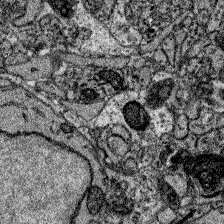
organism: Zebrafish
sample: Larval olfactory bulb